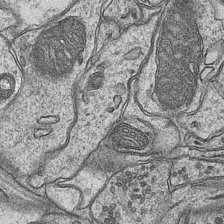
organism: Mouse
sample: CA1 Hippocampus